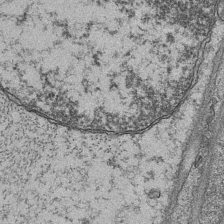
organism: Mouse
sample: CA1 Hippocampus